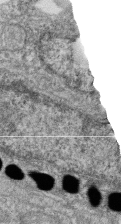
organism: Zebrafish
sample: Cilia; retinal pigment epithelium